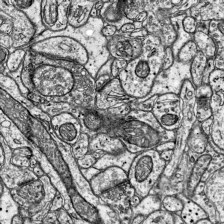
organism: Mouse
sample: Visual Cortex